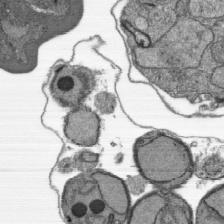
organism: Plasmodium falciparum